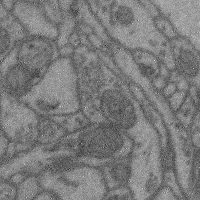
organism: Mouse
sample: Cerebral cortex